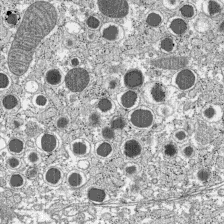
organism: C57BL Mouse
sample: Pancreatic islet